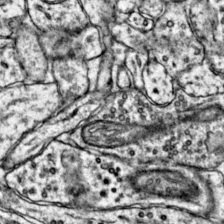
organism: Mouse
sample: Primary visual cortex